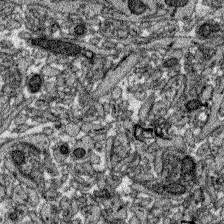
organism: Zebrafish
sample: Larval olfactory bulb